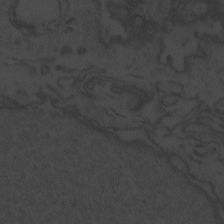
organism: Zebrafish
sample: Macrophage infected with Toxoplasma gondii